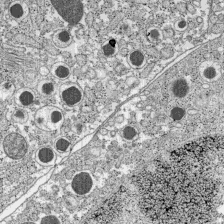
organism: C57BL Mouse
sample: Pancreatic islet